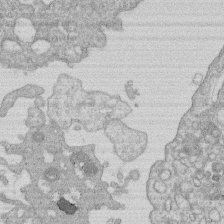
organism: Human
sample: Macrophage cells